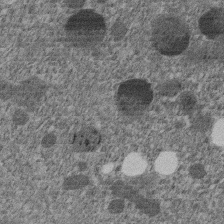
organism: C. elegans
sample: C. elegans embryo early stage